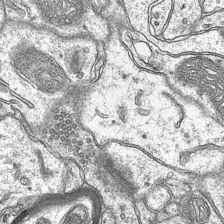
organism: Mouse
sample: CA1 Hippocampus